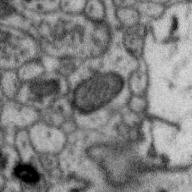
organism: Zebra finch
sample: Brain